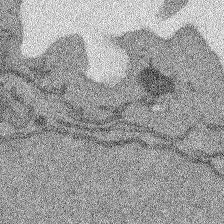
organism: Human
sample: HeLa cells